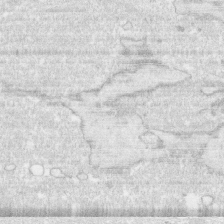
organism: Human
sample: CRL-1474